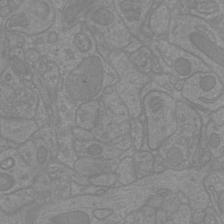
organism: Mouse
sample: Cortical neurons